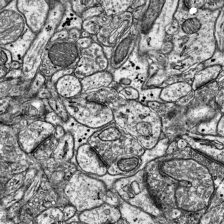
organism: Mouse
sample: Visual Cortex